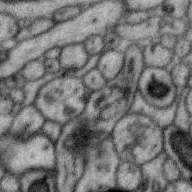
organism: Zebra finch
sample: Brain